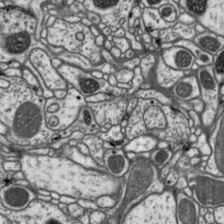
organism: Drosophila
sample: Protocerebral bridge